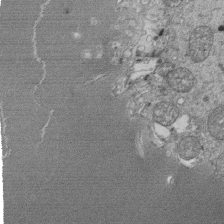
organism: Tetrahymena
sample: Cilia in tetrahymena